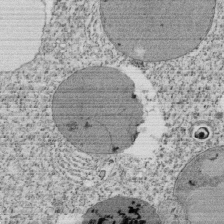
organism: Tetrahymena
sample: Cilia in tetrahymena